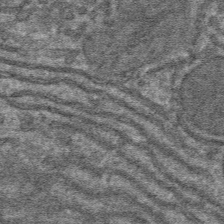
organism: Mouse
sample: Mouse hepatocytes